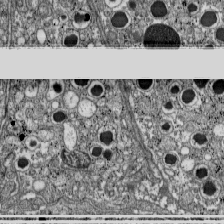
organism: C57BL Mouse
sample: Pancreatic islet